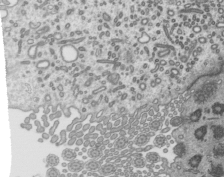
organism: Mouse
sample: Mouse epididymis efferent ductule cilia